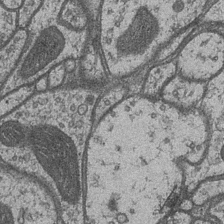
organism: Drosophila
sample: Optic medulla